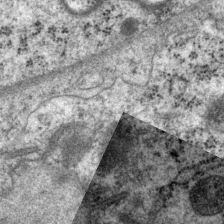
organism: P. pacificus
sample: Pharynx